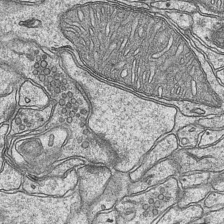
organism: Mouse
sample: CA1 Hippocampus